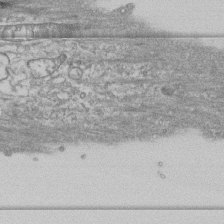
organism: Human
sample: Fibroblast cells